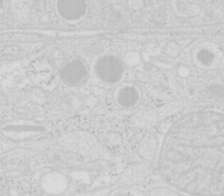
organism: Mouse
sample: Pancreas